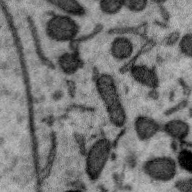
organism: Zebra finch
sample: Brain